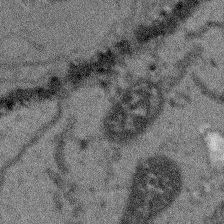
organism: Arabidopsis thaliana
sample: Root tip